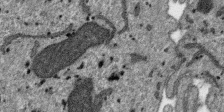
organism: Human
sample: Lung epithelial cells, uninfected (mock) control